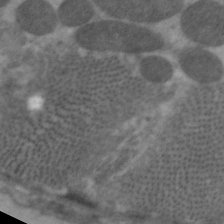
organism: C. elegans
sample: Pharynx